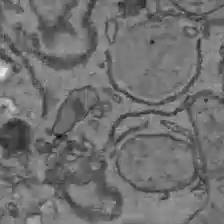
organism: C57BL Mouse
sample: Liver